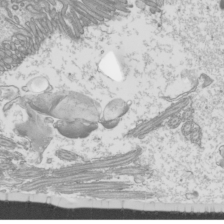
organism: Mouse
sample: Cilia; mouse epididymis